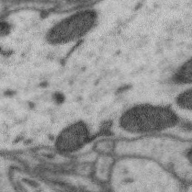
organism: Zebra finch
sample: Brain